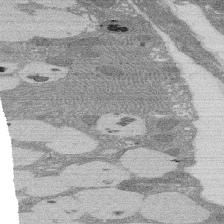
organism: Rat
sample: Salivary granule